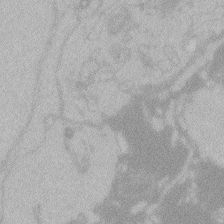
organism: Zebrafish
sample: Macrophage infected with Toxoplasma gondii